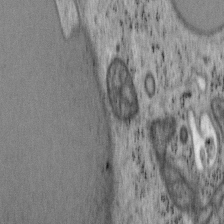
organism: Human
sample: HeLa cells